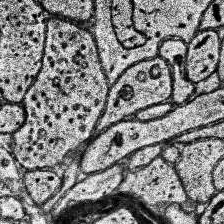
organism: Human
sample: Temporal Lobe